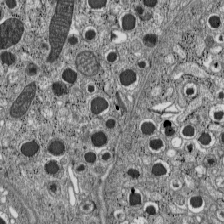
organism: C57BL Mouse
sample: Pancreatic islet